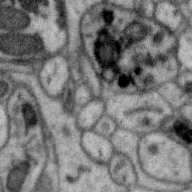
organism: Zebra finch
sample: Brain